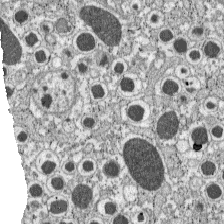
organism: C57BL Mouse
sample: Pancreatic islet